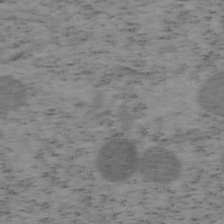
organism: Mouse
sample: OT-I killer T cells with ID8 ovarian cancer cells